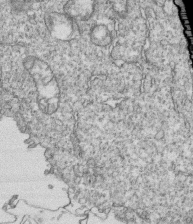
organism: Human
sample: HeLa cell HIV synapse